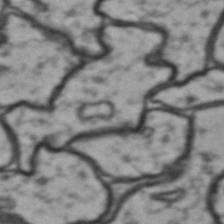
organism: Drosophila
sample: Brain